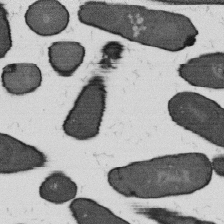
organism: B. subtilis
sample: Bacterial spore